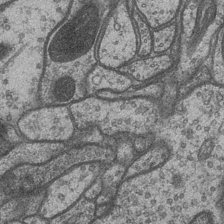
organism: Drosophila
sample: Optic medulla